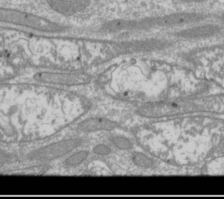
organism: Drosophila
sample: Cell division; meiosis; drosophila spermatocytes